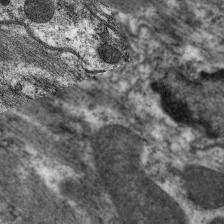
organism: C. elegans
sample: Pharynx